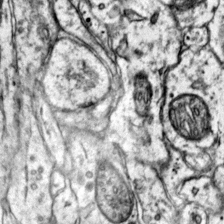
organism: Mouse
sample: Primary visual cortex